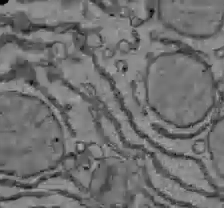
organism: C57BL Mouse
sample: Liver